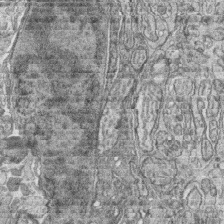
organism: Zebrafish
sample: synaptic ribbons in rod cells and cone cells